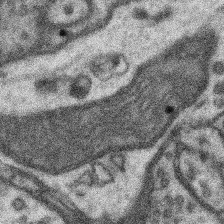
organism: Mouse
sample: Somatosensory cortex neuropil